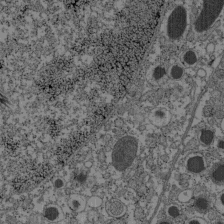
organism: C57BL Mouse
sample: Pancreatic islet